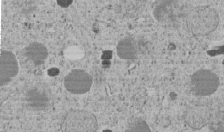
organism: C. elegans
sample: C. elegans embryo early stage